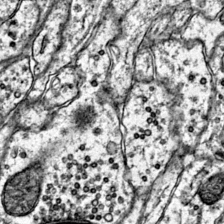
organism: Mouse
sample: Primary visual cortex